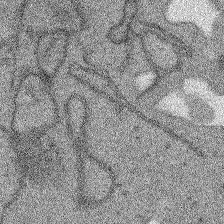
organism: Human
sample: HeLa cells